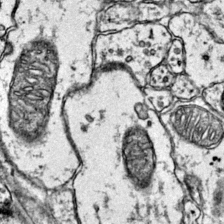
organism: Mouse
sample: Primary visual cortex